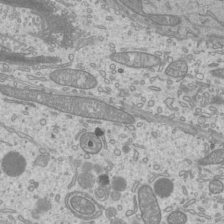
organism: Mouse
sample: Cilia; mouse epididymis